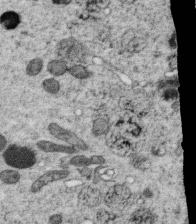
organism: C. elegans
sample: C. elegans oocyte; sperm cells